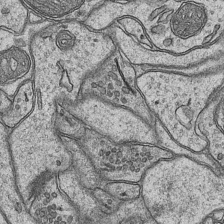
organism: Mouse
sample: CA1 Hippocampus